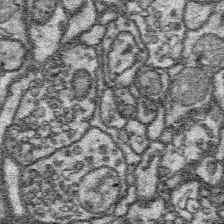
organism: Platynereis dumerilii